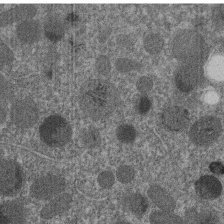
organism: C. elegans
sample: C. elegans embryo early stage